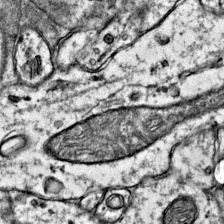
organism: Mouse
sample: Primary visual cortex